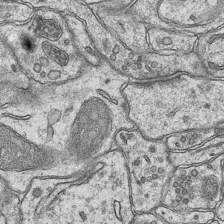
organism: Mouse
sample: CA1 Hippocampus